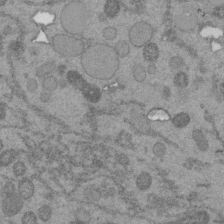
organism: C. elegans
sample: C. elegans embryo early stage